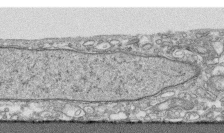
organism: Human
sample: CRL-1474